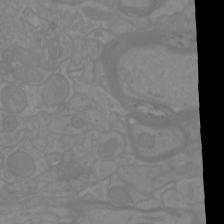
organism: Mouse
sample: Cortical neurons